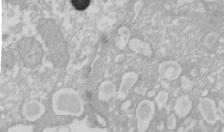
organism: Xenopus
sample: Cilia; centrioles in frog embryo cells